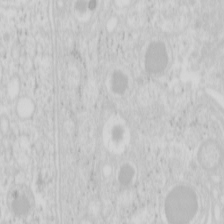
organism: Mouse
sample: Pancreas